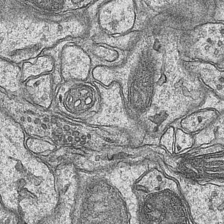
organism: Mouse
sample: CA1 Hippocampus